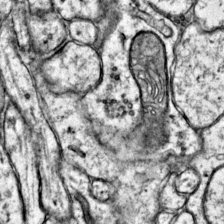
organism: Mouse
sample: Primary visual cortex